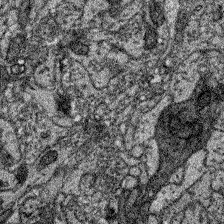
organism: Zebrafish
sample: Larval olfactory bulb